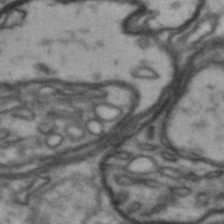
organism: Drosophila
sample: Brain